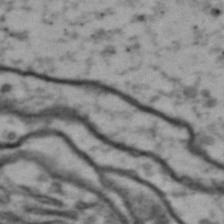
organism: Drosophila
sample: Brain